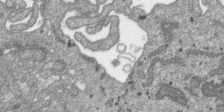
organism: Human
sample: Lung epithelial cells infected with SARS-CoV-2